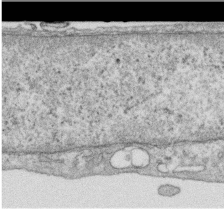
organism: Human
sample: Centriole in RPE cells